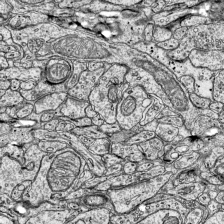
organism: Mouse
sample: Visual Cortex